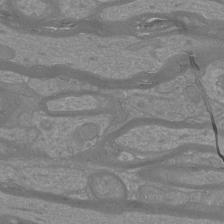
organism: Mouse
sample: Cortical neurons